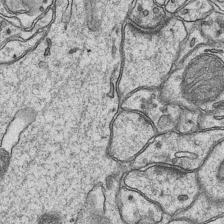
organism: Mouse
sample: CA1 Hippocampus